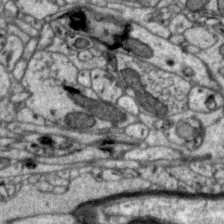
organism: Zebra finch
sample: Brain